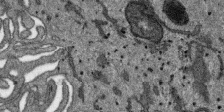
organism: Human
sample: Lung epithelial cells, uninfected (mock) control